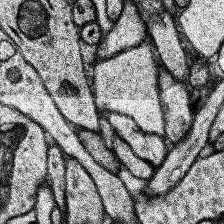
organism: Human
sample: Temporal Lobe